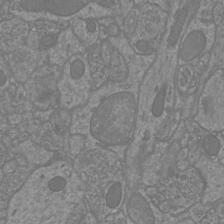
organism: Mouse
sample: Cortical neurons